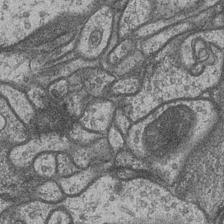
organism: Drosophila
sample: Optic medulla